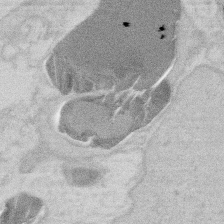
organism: Mouse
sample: T cell stromal cell synapse